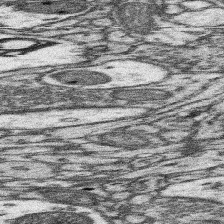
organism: Mouse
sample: Somatosensory cortex neuropil